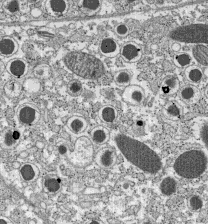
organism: C57BL Mouse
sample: Pancreatic islet